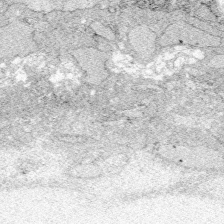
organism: Zebrafish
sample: Whole-Brain